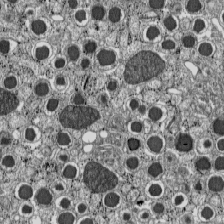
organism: C57BL Mouse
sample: Pancreatic islet